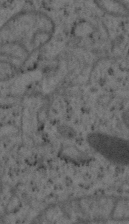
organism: Human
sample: HeLa cells